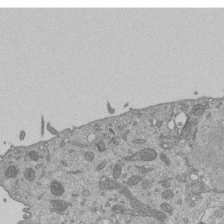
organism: Mouse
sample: ED-1 cell nuclei; centrioles